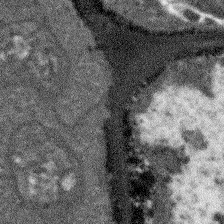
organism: Arabidopsis thaliana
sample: Root tip